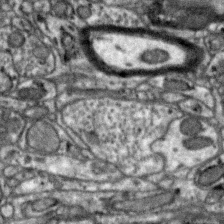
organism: Zebra finch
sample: Brain